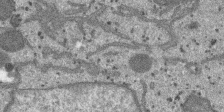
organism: Human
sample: Lung epithelial cells infected with SARS-CoV-2